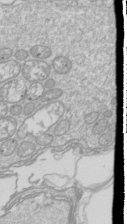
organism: Drosophila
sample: Cell division; meiosis; drosophila spermatocytes